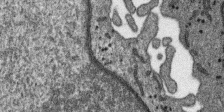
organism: Human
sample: Lung epithelial cells infected with SARS-CoV-2